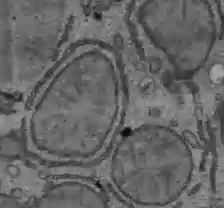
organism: C57BL Mouse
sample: Liver